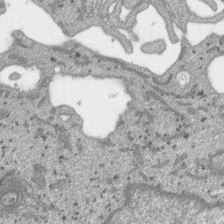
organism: Human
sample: Lung epithelial cells infected with SARS-CoV-2